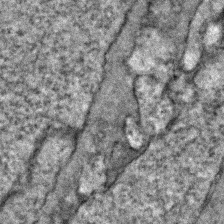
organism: Zebrafish